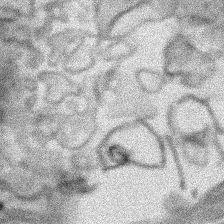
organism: Human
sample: Mitochondria in HCT116 cells